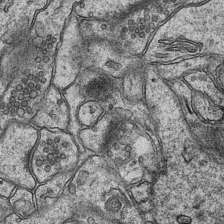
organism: Mouse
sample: CA1 Hippocampus